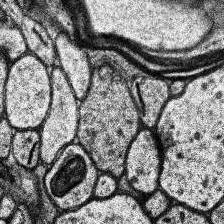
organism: Human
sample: Temporal Lobe